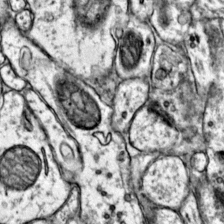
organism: Mouse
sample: Primary visual cortex